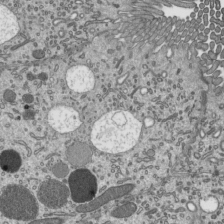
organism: Mouse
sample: Mouse epididymis efferent ductule cilia